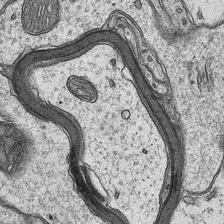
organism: Mouse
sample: CA1 Hippocampus